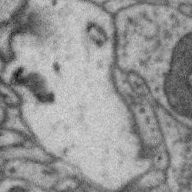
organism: Zebra finch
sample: Brain